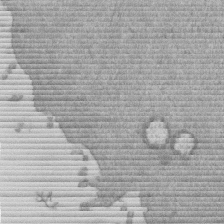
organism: Mouse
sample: Dividing mouse embryo 1 cell stage